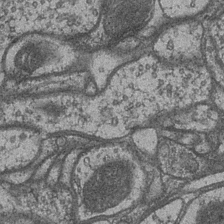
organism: Drosophila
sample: Optic medulla